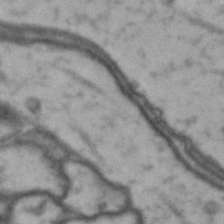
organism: Drosophila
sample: Brain